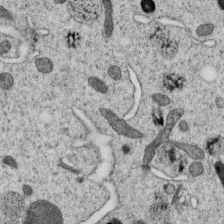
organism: C. elegans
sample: C. elegans oocyte; sperm cells